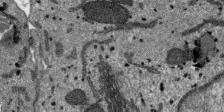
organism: Human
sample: Lung epithelial cells, uninfected (mock) control